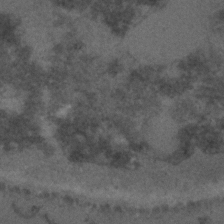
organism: C. elegans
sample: C. elegans embryo